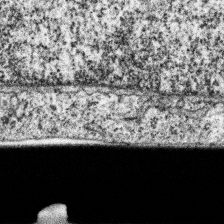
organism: Human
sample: HeLa cells